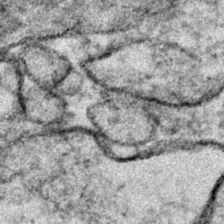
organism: Zebrafish